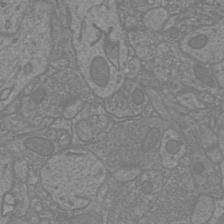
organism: Mouse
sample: Cortical neurons